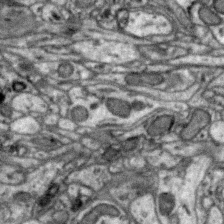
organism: Zebra finch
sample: Brain